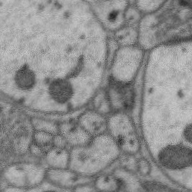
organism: Zebra finch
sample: Brain